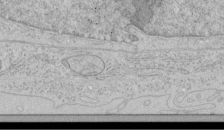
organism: Human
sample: Mitochondria in HCT116 cells